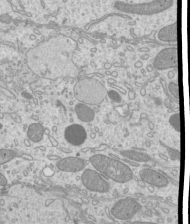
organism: Mouse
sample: Cilia; mouse epididymis